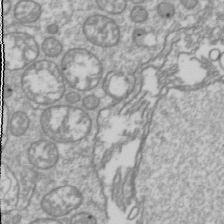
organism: Drosophila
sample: Cell division; meiosis; drosophila spermatocytes